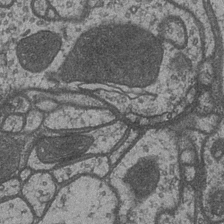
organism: Drosophila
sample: Optic medulla